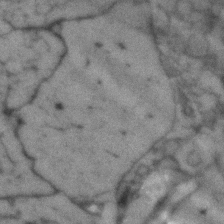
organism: Human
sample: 1205lu cells